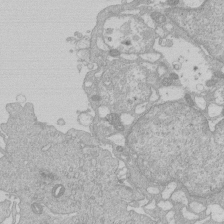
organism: Human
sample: Macrophage cells